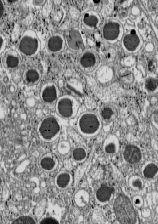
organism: C57BL Mouse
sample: Pancreatic islet